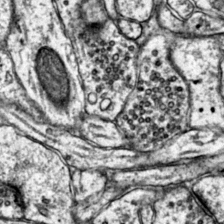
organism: Mouse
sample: Primary visual cortex